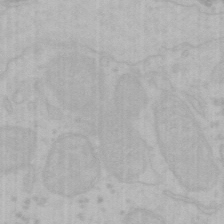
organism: Mouse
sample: Choroid plexus